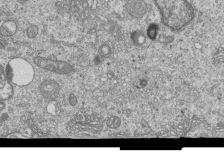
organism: Human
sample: MDA-MB-231 cells